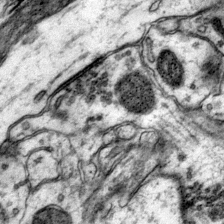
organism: Mouse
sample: Primary visual cortex